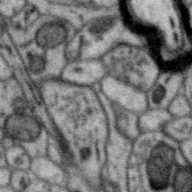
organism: Zebra finch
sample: Brain